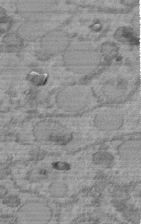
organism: C. elegans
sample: C. elegans embryo early stage